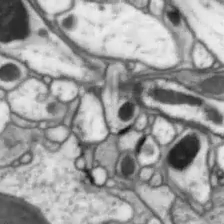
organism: Drosophila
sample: Optic lobe